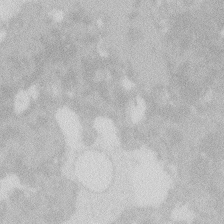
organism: Zebrafish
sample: Macrophage